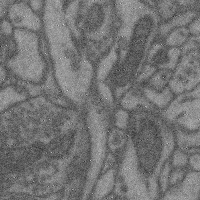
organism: Mouse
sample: Cerebral cortex